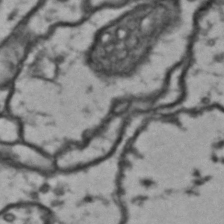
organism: Drosophila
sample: Brain